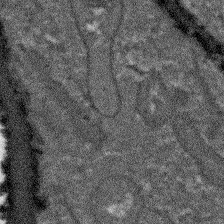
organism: Arabidopsis thaliana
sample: Root tip